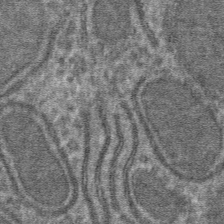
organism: Mouse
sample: Mouse hepatocytes